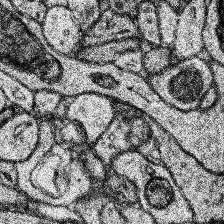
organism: Human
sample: Temporal Lobe